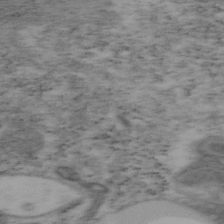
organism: Mouse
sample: OT-I killer T cells with ID8 ovarian cancer cells